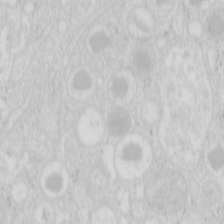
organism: Mouse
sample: Pancreas